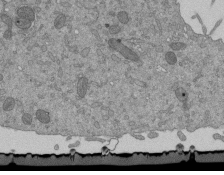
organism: Mouse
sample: ED-1 cell nuclei; centrioles